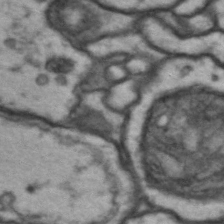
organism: Drosophila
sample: Brain